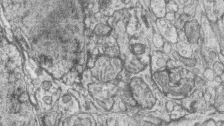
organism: Zebrafish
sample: synaptic ribbons in rod cells and cone cells